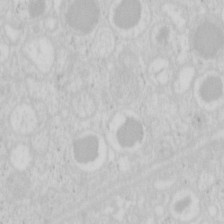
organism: Mouse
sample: Pancreas